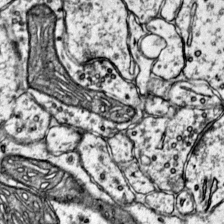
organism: Mouse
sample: Primary visual cortex